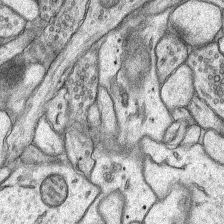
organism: Rat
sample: Hippocampus